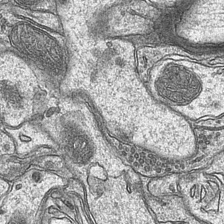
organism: Mouse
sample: CA1 Hippocampus